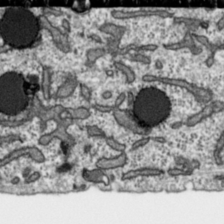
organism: Toxoplasma gondii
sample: Parasites in a vacuole inside a host cell